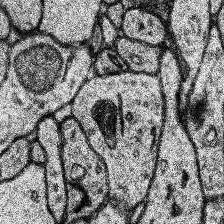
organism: Human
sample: Temporal Lobe